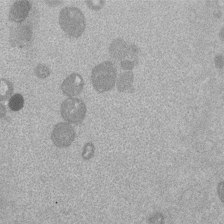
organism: Mouse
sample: Dividing mouse embryo 1 cell stage